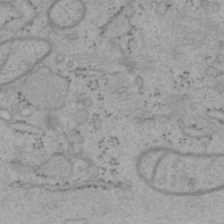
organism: Human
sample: HeLa cells